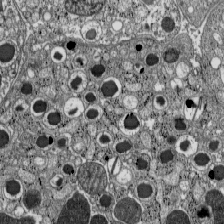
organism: C57BL Mouse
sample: Pancreatic islet